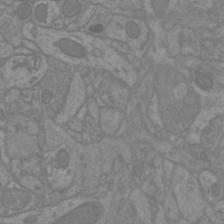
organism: Mouse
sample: Cortical neurons